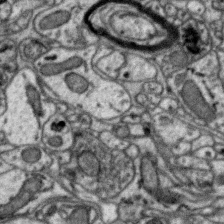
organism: Zebra finch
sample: Brain